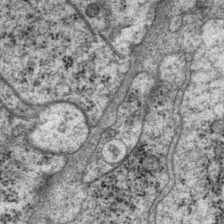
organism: P. pacificus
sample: Pharynx